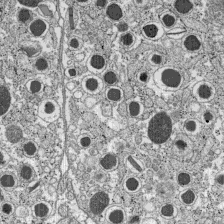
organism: C57BL Mouse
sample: Pancreatic islet